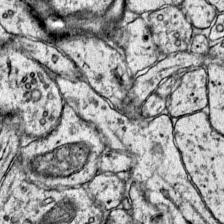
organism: Mouse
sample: Primary visual cortex